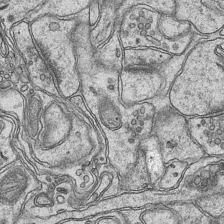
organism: Mouse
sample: CA1 Hippocampus